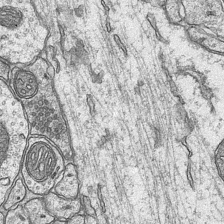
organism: Mouse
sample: CA1 Hippocampus